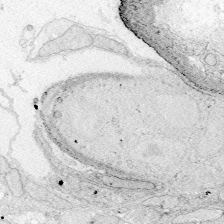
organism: Zebrafish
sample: Whole-Brain